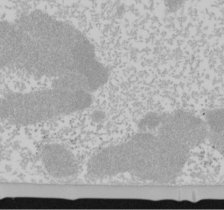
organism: Mouse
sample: Cancer cell death in ED-1 cells